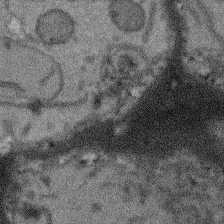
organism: Arabidopsis thaliana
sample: Root tip